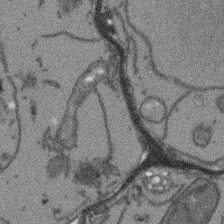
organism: Arabidopsis thaliana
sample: Root tip